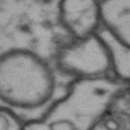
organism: Drosophila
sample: Brain